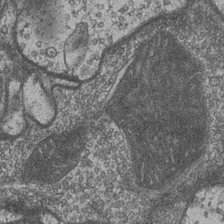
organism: Drosophila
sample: Optic medulla